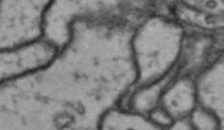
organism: Drosophila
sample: Brain